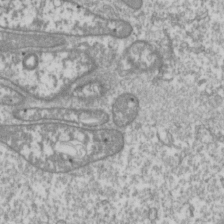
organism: Drosophila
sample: Cell division; meiosis; drosophila spermatocytes